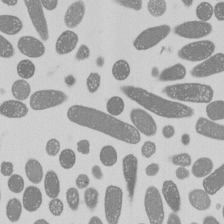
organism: E. coli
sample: Bacterial nucleoid